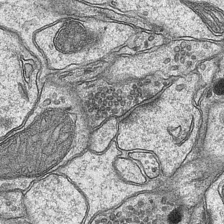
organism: Mouse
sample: CA1 Hippocampus